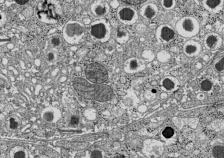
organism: C57BL Mouse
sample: Pancreatic islet